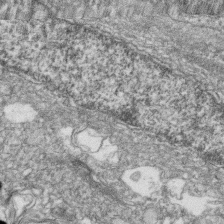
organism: Zebrafish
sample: Cilia; retinal pigment epithelium